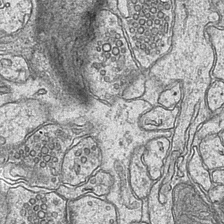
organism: Mouse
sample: CA1 Hippocampus